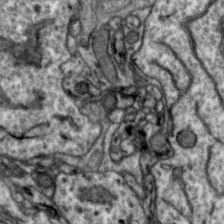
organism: Zebra finch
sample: Brain